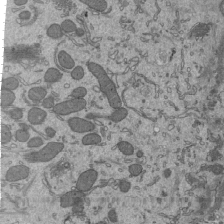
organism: Mouse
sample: Mouse epididymis efferent ductule cilia